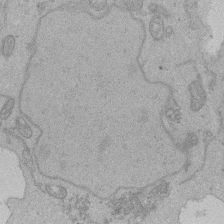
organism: Human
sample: Activated Jurkat CD4+ T cells